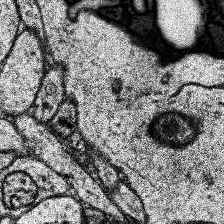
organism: Human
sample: Temporal Lobe